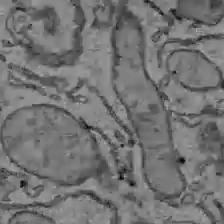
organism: C57BL Mouse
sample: Liver